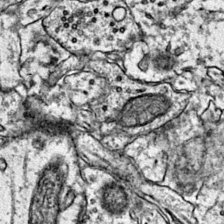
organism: Mouse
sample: Primary visual cortex